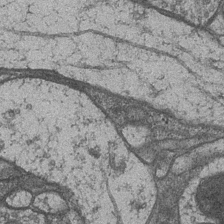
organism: Drosophila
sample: Optic medulla